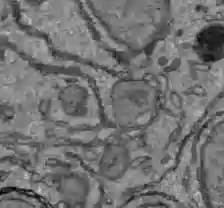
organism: C57BL Mouse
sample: Liver